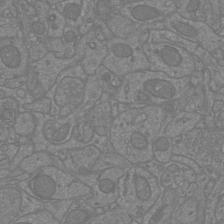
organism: Mouse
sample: Cortical neurons